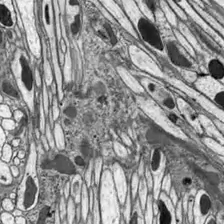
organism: Drosophila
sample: Optic lobe